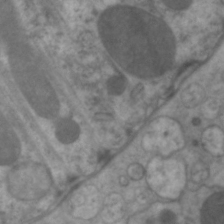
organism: C. elegans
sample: Pharynx